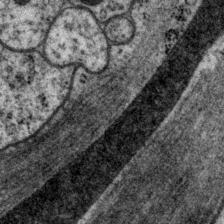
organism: P. pacificus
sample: Pharynx